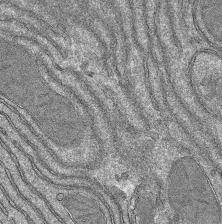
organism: Mouse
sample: Mouse hepatocytes